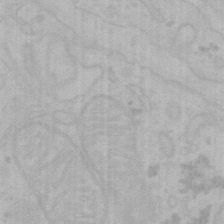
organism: Mouse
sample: Choroid plexus